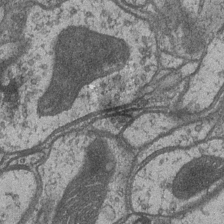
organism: Drosophila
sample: Optic medulla